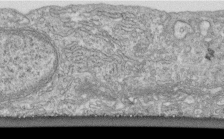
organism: Human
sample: Centriole in fibroblast cells